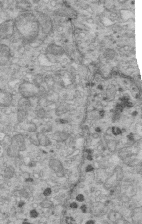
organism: Mouse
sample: Multiciliated cells